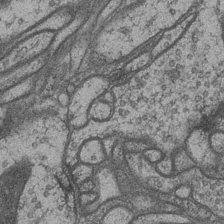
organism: Drosophila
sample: Optic medulla